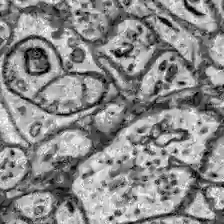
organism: Zebrafish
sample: Brain